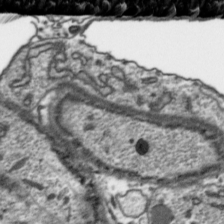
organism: Toxoplasma gondii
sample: Parasites in a vacuole inside a host cell